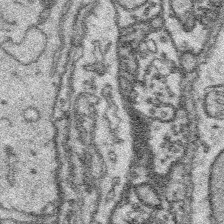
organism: Platynereis dumerilii